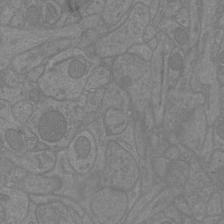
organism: Mouse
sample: Cortical neurons